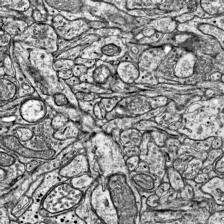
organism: Mouse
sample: Visual Cortex